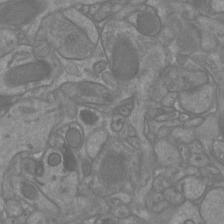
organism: Mouse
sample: Cortical neurons